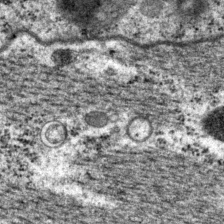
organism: P. pacificus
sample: Pharynx